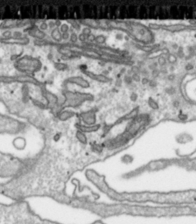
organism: Toxoplasma gondii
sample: Parasites in a vacuole inside a host cell